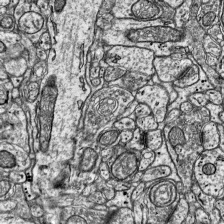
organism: Mouse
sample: Visual Cortex